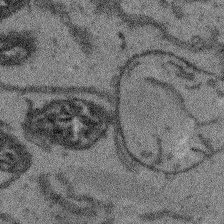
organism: Arabidopsis thaliana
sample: Root tip